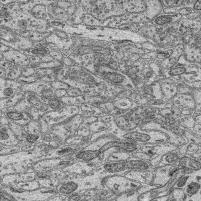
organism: Mouse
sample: Retina